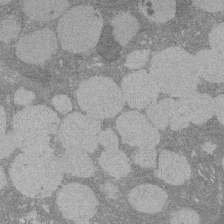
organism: Rat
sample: Salivary granule